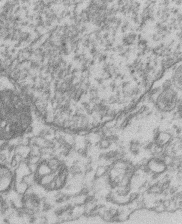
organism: Mouse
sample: T cell stromal cell synapse